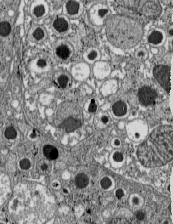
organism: C57BL Mouse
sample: Pancreatic islet